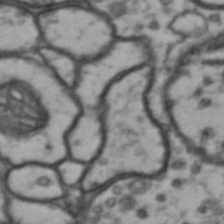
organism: Drosophila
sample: Brain